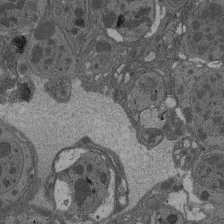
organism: Drosophila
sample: Antenna